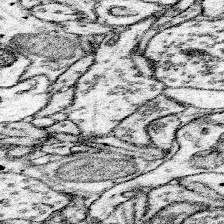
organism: Mouse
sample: Somatosensory cortex neuropil